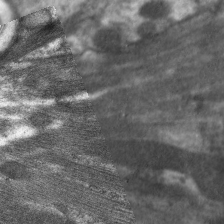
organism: C. elegans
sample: Pharynx